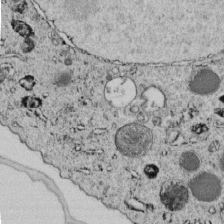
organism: C. elegans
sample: C. elegans embryo early stage